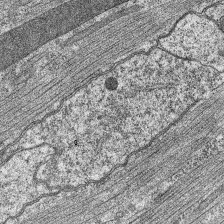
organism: C. elegans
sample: Pharynx